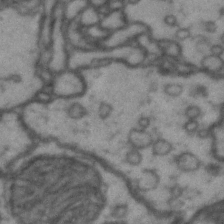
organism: Drosophila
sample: Brain